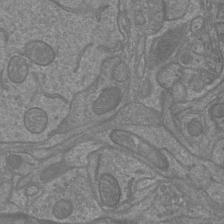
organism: Mouse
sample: Cortical neurons